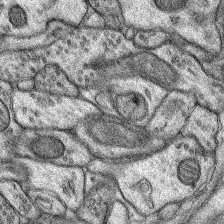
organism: Rat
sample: Hippocampus